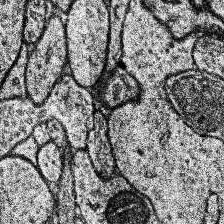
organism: Human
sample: Temporal Lobe